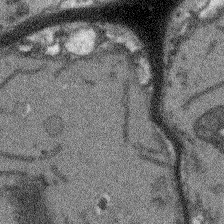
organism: Arabidopsis thaliana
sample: Root tip